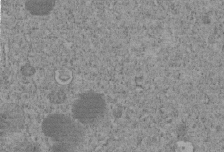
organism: C. elegans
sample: C. elegans embryo early stage